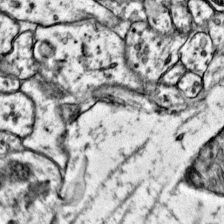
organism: Mouse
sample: Primary visual cortex